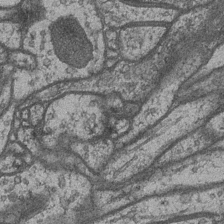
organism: Drosophila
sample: Optic medulla